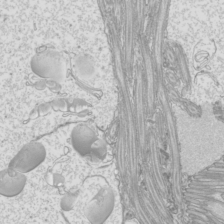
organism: Mouse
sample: Cilia; mouse epididymis